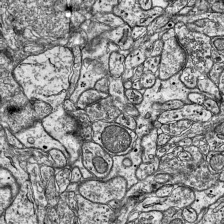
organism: Mouse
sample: Visual Cortex